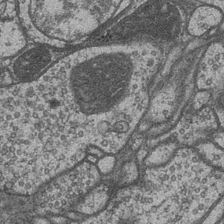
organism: Drosophila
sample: Optic medulla